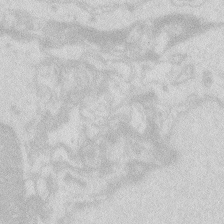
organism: Zebrafish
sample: Macrophage